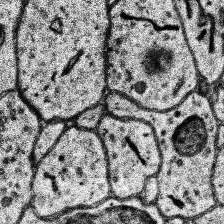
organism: Human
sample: Temporal Lobe